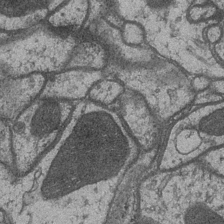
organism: Drosophila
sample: Optic medulla